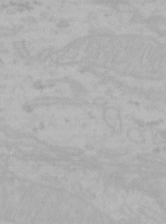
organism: Mouse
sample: Choroid plexus